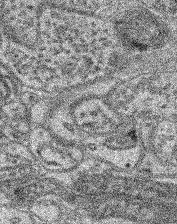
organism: Mouse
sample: Retina